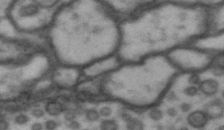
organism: Drosophila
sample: Brain